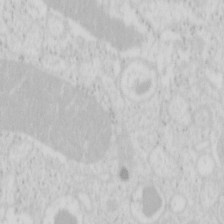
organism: Mouse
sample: Pancreas